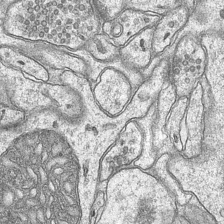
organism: Mouse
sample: CA1 Hippocampus